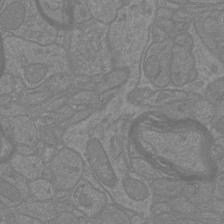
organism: Mouse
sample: Cortical neurons